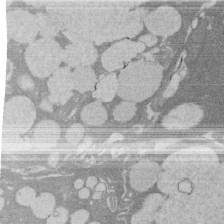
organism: Rat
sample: Salivary granule